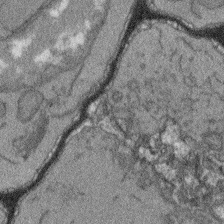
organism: Arabidopsis thaliana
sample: Root tip